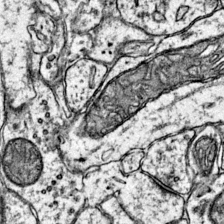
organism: Mouse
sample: Primary visual cortex